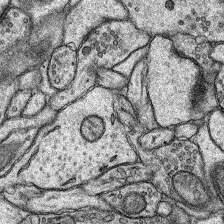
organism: Rat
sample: Hippocampus